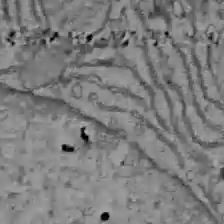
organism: C57BL Mouse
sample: Liver